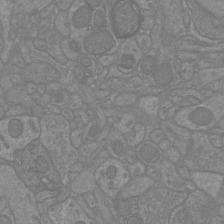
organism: Mouse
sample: Cortical neurons